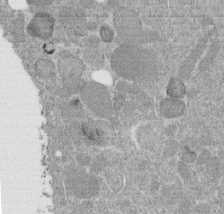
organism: C. elegans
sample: C. elegans embryo early stage